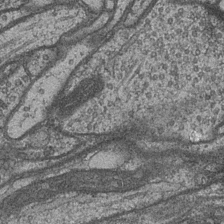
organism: Drosophila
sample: Optic medulla